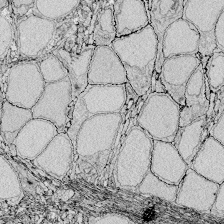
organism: Zebrafish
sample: Whole-Brain